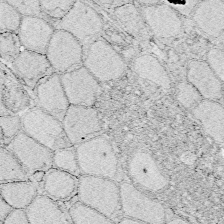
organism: Zebrafish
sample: Whole-Brain